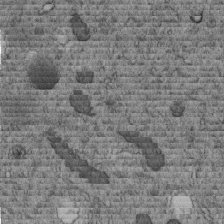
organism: C. elegans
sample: C. elegans embryo early stage